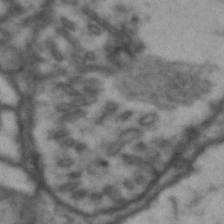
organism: Drosophila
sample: Brain